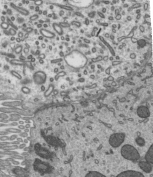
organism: Mouse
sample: Mouse epididymis efferent ductule cilia